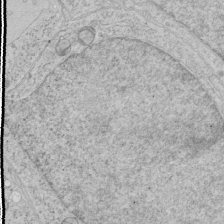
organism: Human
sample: Mitochondria in HCT116 cells